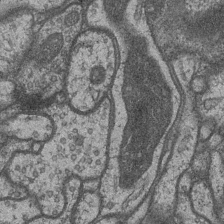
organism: Drosophila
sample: Optic medulla